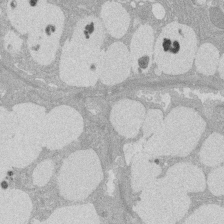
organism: Rat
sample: Salivary granule